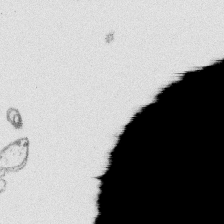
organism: Platynereis dumerilii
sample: Parapodia